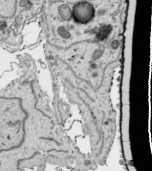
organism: Human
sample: Mitochondria in HCT116 cells